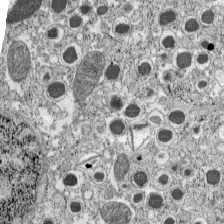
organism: C57BL Mouse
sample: Pancreatic islet